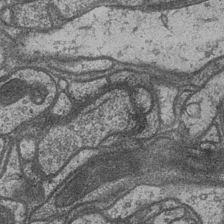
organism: Drosophila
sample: Optic medulla